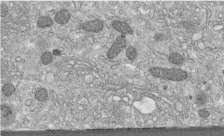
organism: Human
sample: Centriole in fibroblast cells